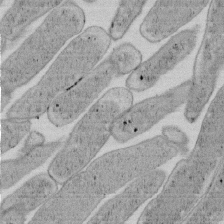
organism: E. coli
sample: Bacterial nucleoid